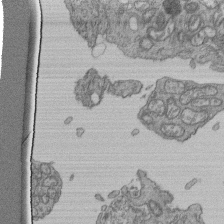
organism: Human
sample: Retinal organoid Rod and Cone cells